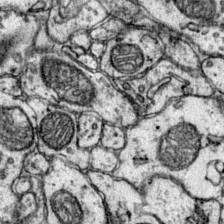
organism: Mouse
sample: Primary visual cortex